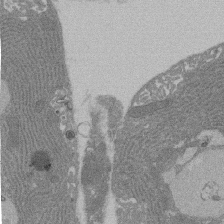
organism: Rat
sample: Salivary granule